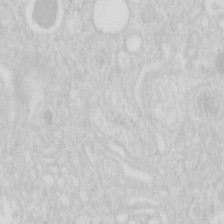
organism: Mouse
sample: Pancreas